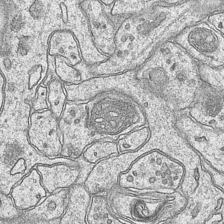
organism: Mouse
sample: CA1 Hippocampus